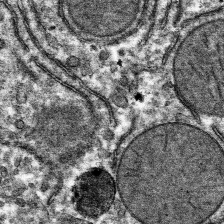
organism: Mouse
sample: Mouse hepatocytes